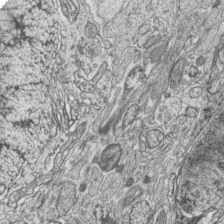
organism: Zebrafish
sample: synaptic ribbons in rod cells and cone cells